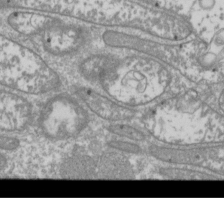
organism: Drosophila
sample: Cell division; meiosis; drosophila spermatocytes